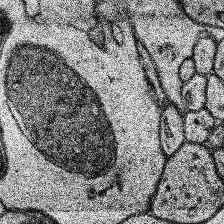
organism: Human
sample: Temporal Lobe